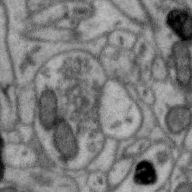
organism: Zebra finch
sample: Brain